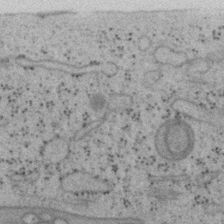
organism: Human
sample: HeLa cells